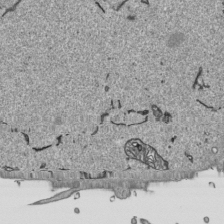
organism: Human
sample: Mitochondria in HCT116 cells